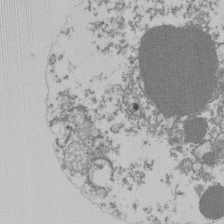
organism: Mouse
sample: Activated Pmel transgenic CD8+ T Cells